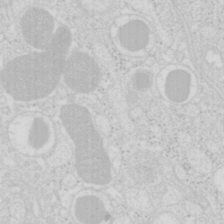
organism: Mouse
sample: Pancreas